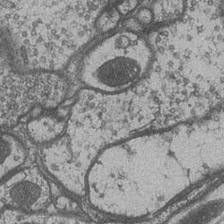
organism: Drosophila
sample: Optic medulla